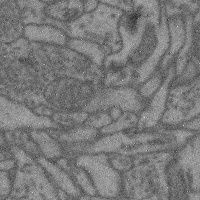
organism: Mouse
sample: Cerebral cortex